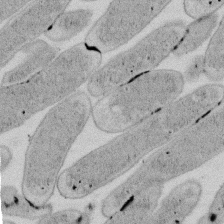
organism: E. coli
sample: Bacterial nucleoid